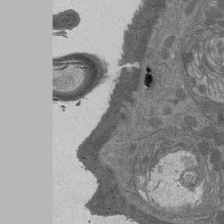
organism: Drosophila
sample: Antenna